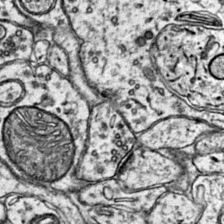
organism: Mouse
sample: Primary visual cortex